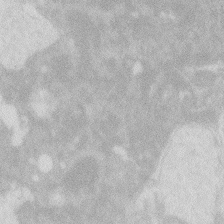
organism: Zebrafish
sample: Macrophage